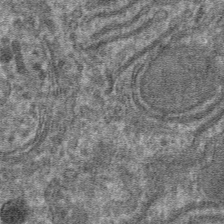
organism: Mouse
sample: Mouse hepatocytes